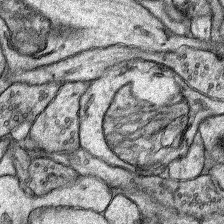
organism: Rat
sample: Hippocampus